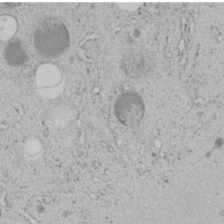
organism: C. elegans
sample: C. elegans embryo early stage